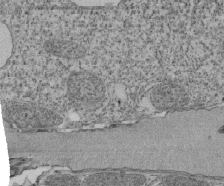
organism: Tetrahymena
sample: Cilia in tetrahymena